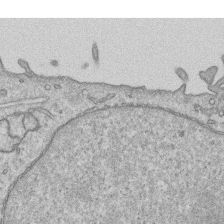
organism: Human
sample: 1205lu cells